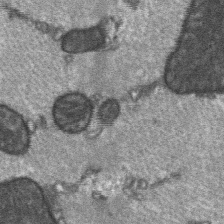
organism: C57BL Mouse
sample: Soleus